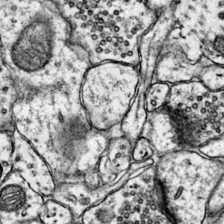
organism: Mouse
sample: Primary visual cortex